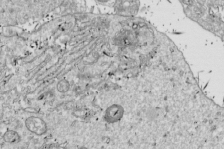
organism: Drosophila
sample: Cell division; meiosis; drosophila spermatocytes